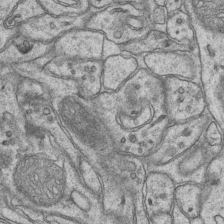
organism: Mouse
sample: CA1 Hippocampus